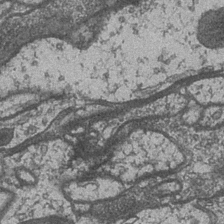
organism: Drosophila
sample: Optic medulla